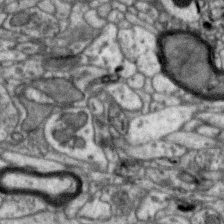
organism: Zebra finch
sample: Brain